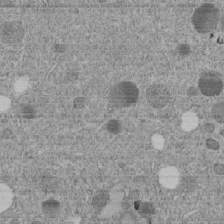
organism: C. elegans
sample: C. elegans embryo early stage